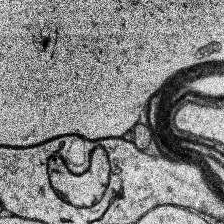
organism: Human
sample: Temporal Lobe